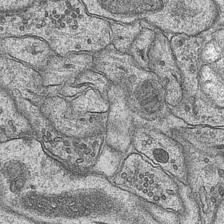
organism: Mouse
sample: CA1 Hippocampus